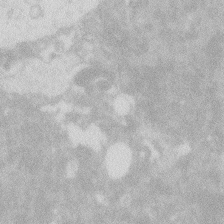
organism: Zebrafish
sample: Macrophage